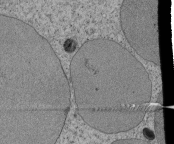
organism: Tetrahymena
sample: Cilia in tetrahymena